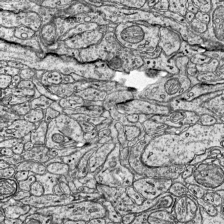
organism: Mouse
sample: Visual Cortex